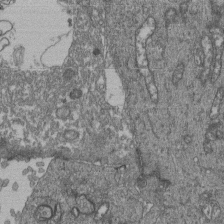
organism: Human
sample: Retinal organoid Rod and Cone cells